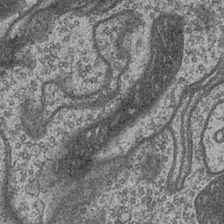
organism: Drosophila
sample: Optic medulla